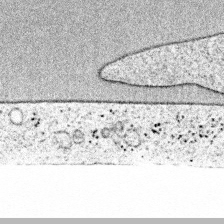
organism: Human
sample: HeLa cells